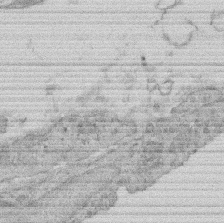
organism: Rat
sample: Salivary granule